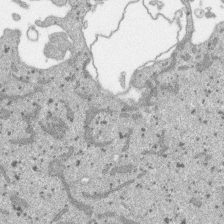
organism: Human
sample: Lung epithelial cells infected with SARS-CoV-2